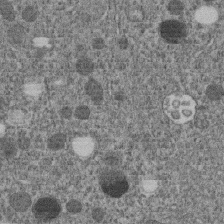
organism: C. elegans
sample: C. elegans embryo early stage